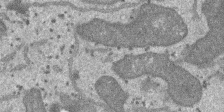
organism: Human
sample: Lung epithelial cells infected with SARS-CoV-2